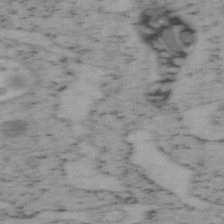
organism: Mouse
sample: OT-I killer T cells with ID8 ovarian cancer cells